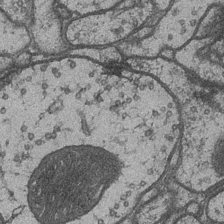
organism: Drosophila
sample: Optic medulla